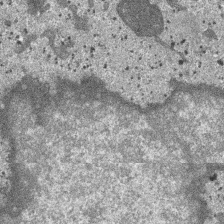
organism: Human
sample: Lung epithelial cells infected with SARS-CoV-2